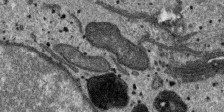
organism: Human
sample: Lung epithelial cells, uninfected (mock) control